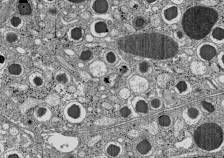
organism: C57BL Mouse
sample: Pancreatic islet